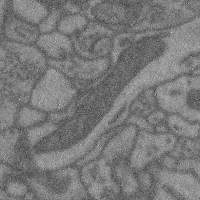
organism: Mouse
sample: Cerebral cortex